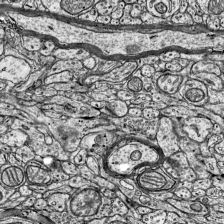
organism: Mouse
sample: Visual Cortex